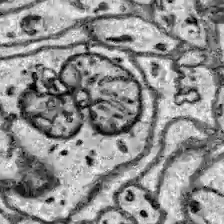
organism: Zebrafish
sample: Brain